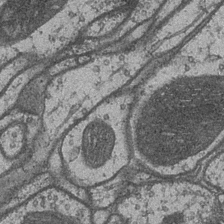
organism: Drosophila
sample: Optic medulla